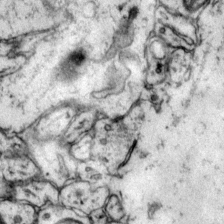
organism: Mouse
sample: Primary visual cortex